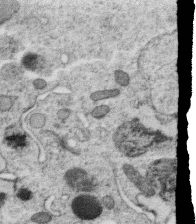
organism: C. elegans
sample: C. elegans oocyte; sperm cells